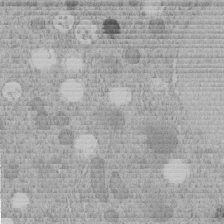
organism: C. elegans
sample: C. elegans embryo early stage